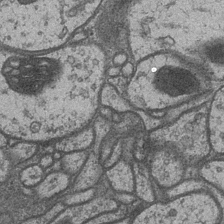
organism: Drosophila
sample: Optic medulla